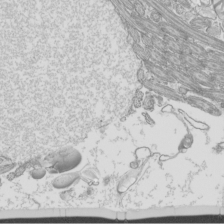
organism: Mouse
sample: Cilia; mouse epididymis